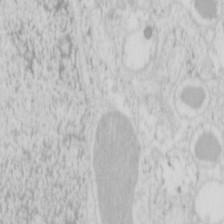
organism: Mouse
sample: Pancreas